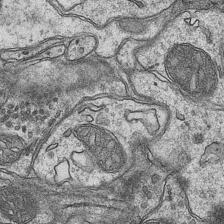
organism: Mouse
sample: CA1 Hippocampus